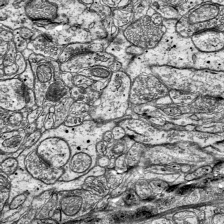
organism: Mouse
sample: Visual Cortex